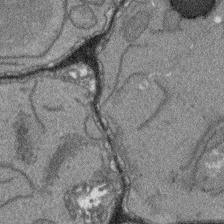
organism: Arabidopsis thaliana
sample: Root tip